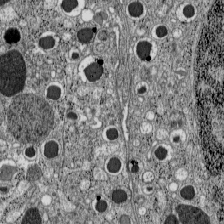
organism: C57BL Mouse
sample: Pancreatic islet